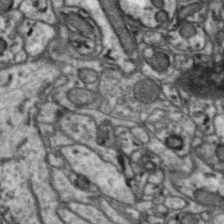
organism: Zebra finch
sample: Brain